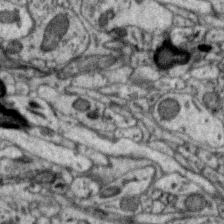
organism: Zebra finch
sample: Brain